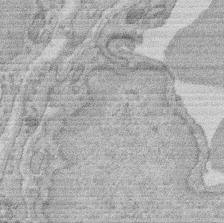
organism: Rat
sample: Salivary granule